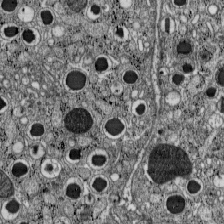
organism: C57BL Mouse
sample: Pancreatic islet